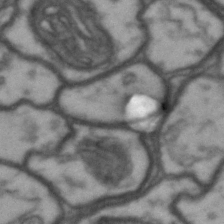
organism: Drosophila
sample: Brain